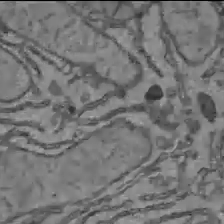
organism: C57BL Mouse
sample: Liver